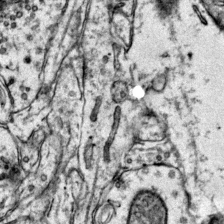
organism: Mouse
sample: Primary visual cortex